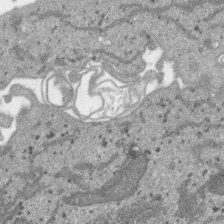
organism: Human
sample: Lung epithelial cells infected with SARS-CoV-2